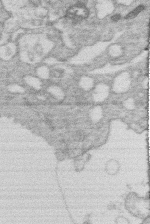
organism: Human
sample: Macrophage cells